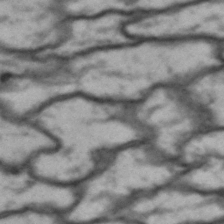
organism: Drosophila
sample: Brain